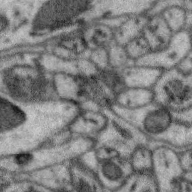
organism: Zebra finch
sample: Brain